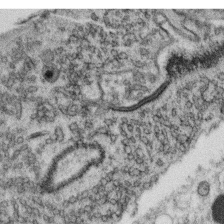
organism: C. elegans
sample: C. elegans oocyte; sperm cells